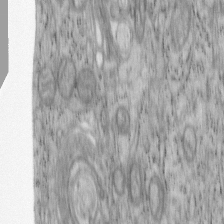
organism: Human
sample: HeLa cells